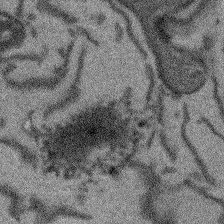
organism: Arabidopsis thaliana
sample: Root tip